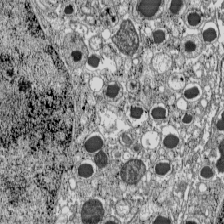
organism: C57BL Mouse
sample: Pancreatic islet